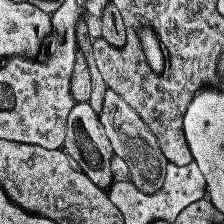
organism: Human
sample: Temporal Lobe